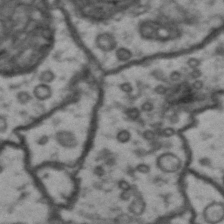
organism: Drosophila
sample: Brain